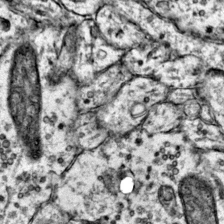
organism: Mouse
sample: Primary visual cortex